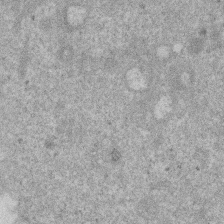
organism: Mouse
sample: Dividing mouse embryo 1 cell stage